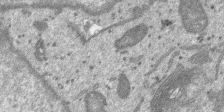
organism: Human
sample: Lung epithelial cells infected with SARS-CoV-2